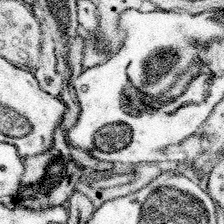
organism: Mouse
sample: Somatosensory cortex neuropil